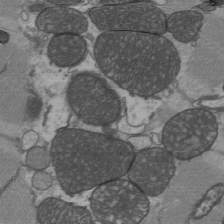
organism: C57BL Mouse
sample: Heart